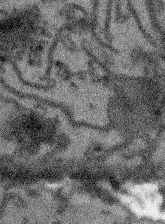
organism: Arabidopsis thaliana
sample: Root tip